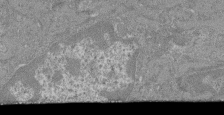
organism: Mouse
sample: Glomerulus